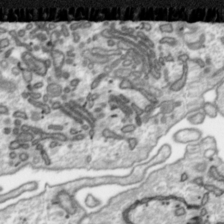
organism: Toxoplasma gondii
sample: Parasites in a vacuole inside a host cell